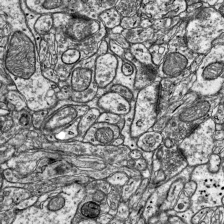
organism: Mouse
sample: Visual Cortex